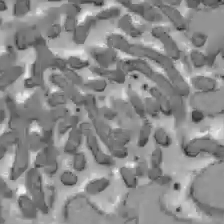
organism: C57BL Mouse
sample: Liver